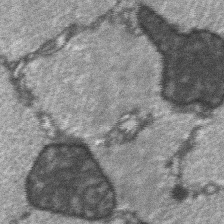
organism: C57BL Mouse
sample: Soleus